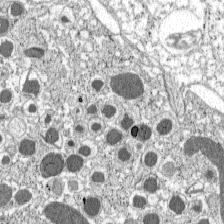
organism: C57BL Mouse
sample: Pancreatic islet